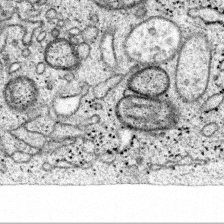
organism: Human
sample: HeLa cells